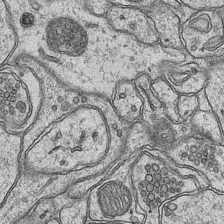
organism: Mouse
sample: CA1 Hippocampus